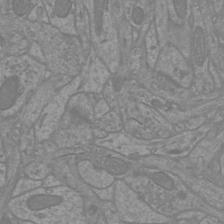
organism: Mouse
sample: Cortical neurons